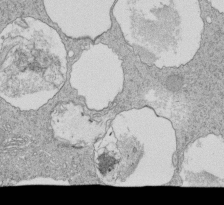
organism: Tetrahymena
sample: Cilia in tetrahymena